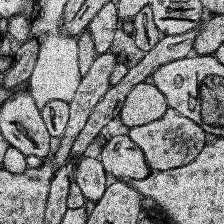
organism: Human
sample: Temporal Lobe